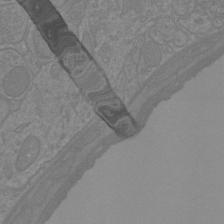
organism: Mouse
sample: Cortical neurons